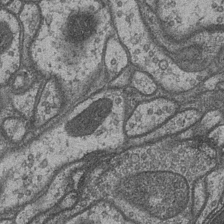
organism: Drosophila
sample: Optic medulla